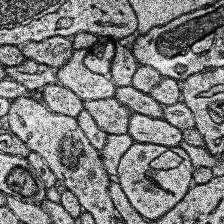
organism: Human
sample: Temporal Lobe